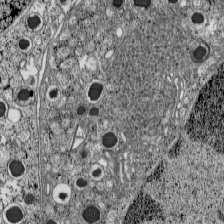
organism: C57BL Mouse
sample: Pancreatic islet